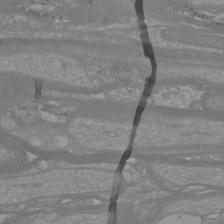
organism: Mouse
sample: Cortical neurons